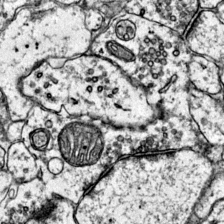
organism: Mouse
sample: Primary visual cortex